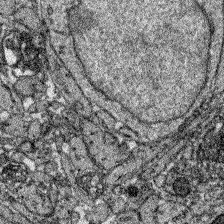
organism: Zebrafish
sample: Larval olfactory bulb